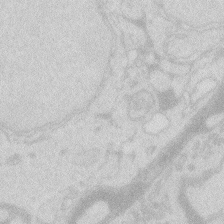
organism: Zebrafish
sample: Macrophage